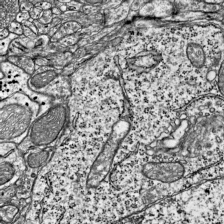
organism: Mouse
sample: Visual Cortex